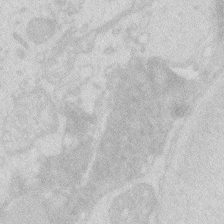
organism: Zebrafish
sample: Macrophage